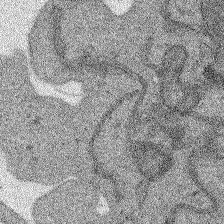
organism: Human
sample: HeLa cells